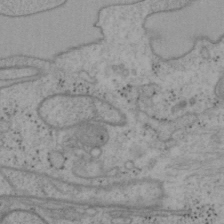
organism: Human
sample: HeLa cells